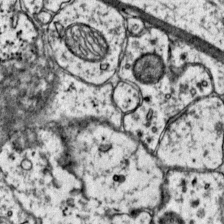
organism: Mouse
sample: Primary visual cortex